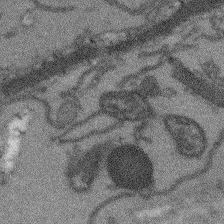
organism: Arabidopsis thaliana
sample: Root tip